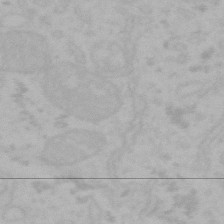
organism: Mouse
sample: Choroid plexus